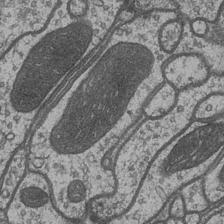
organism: Drosophila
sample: Optic medulla